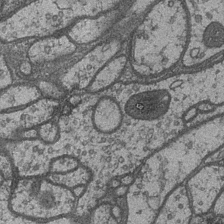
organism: Drosophila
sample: Optic medulla